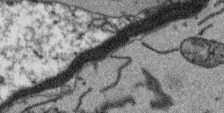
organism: Arabidopsis thaliana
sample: Root tip